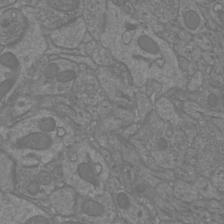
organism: Mouse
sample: Cortical neurons